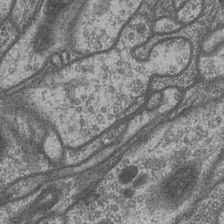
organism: Drosophila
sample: Optic medulla